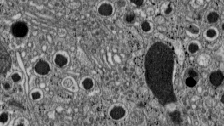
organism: C57BL Mouse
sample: Pancreatic islet